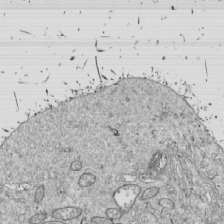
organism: Drosophila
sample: Cell division; meiosis; drosophila spermatocytes